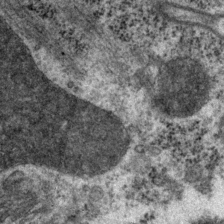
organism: P. pacificus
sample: Pharynx